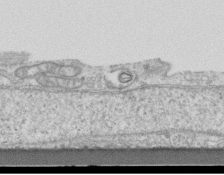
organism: Mouse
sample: Centriole in ependymal cells